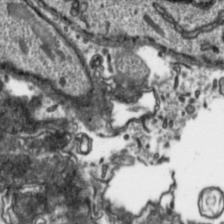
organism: Toxoplasma gondii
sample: Parasites in a vacuole inside a host cell